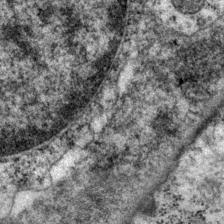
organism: P. pacificus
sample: Pharynx